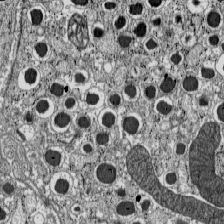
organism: C57BL Mouse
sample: Pancreatic islet